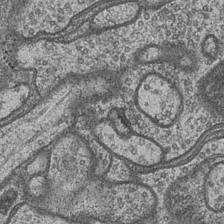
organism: Drosophila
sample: Optic medulla